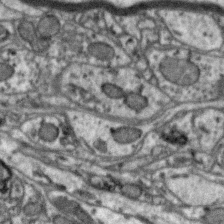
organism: Zebra finch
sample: Brain